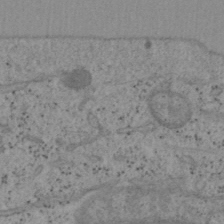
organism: Human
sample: HeLa cells